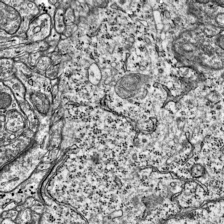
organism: Mouse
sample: Visual Cortex